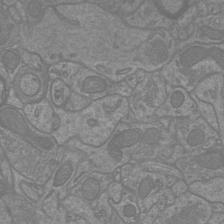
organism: Mouse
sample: Cortical neurons